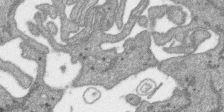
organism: Human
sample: Lung epithelial cells infected with SARS-CoV-2